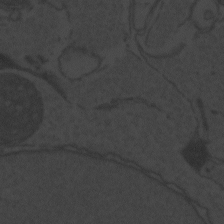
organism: Zebrafish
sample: Macrophage infected with Toxoplasma gondii